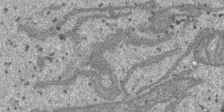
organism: Human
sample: Lung epithelial cells infected with SARS-CoV-2